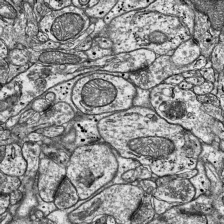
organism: Mouse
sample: Visual Cortex